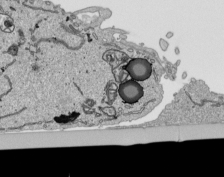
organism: Human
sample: Mitochondria in HCT116 cells